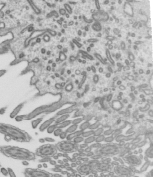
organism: Mouse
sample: Mouse epididymis efferent ductule cilia